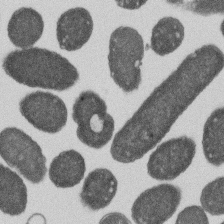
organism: E. coli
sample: Bacterial nucleoid